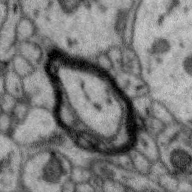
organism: Zebra finch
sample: Brain